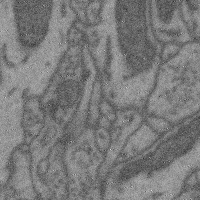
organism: Mouse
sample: Cerebral cortex